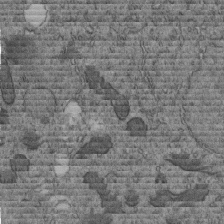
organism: C. elegans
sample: C. elegans embryo early stage